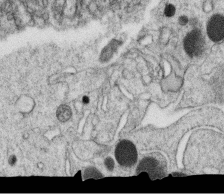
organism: C. elegans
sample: C. elegans oocyte; sperm cells